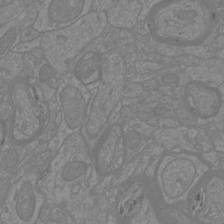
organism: Mouse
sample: Cortical neurons